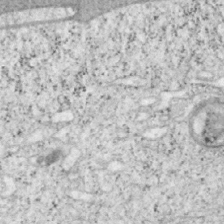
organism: Mouse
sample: OT-I killer T cells with ID8 ovarian cancer cells